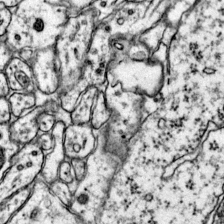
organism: Mouse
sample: Primary visual cortex